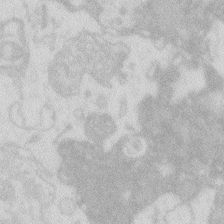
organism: Zebrafish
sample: Macrophage